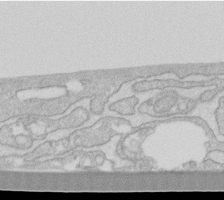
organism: Human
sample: Fibroblast cells